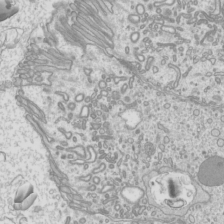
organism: Mouse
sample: Cilia; mouse epididymis